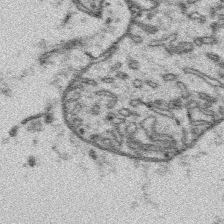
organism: Platynereis dumerilii